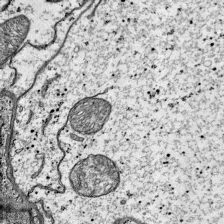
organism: Mouse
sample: Visual Cortex